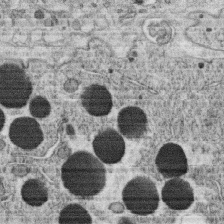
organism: C. elegans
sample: C. elegans oocyte; sperm cells